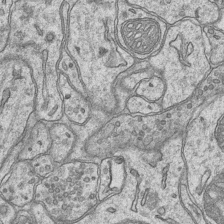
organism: Mouse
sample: CA1 Hippocampus